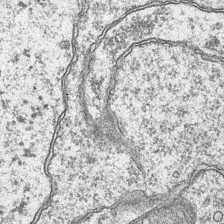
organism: Mouse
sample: CA1 Hippocampus